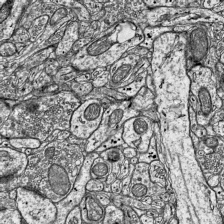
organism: Mouse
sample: Visual Cortex